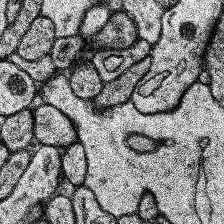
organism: Human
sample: Temporal Lobe